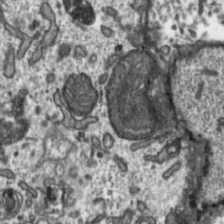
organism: Toxoplasma gondii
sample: Parasites in a vacuole inside a host cell